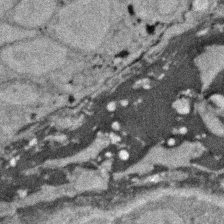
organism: Zebrafish